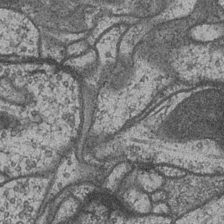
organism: Drosophila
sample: Optic medulla